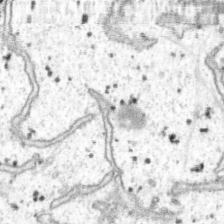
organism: Human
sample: HeLa cells